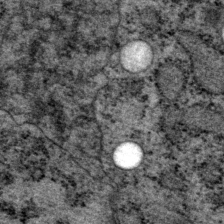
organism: P. pacificus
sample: Pharynx